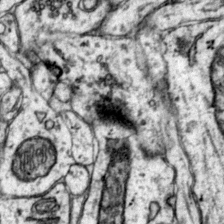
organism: Mouse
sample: Primary visual cortex